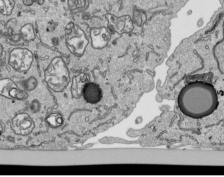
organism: Human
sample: Mitochondria in HCT116 cells